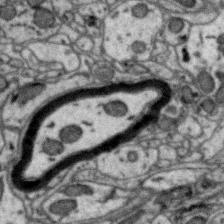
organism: Zebra finch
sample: Brain